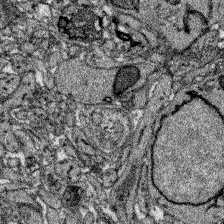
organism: Zebrafish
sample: Larval olfactory bulb